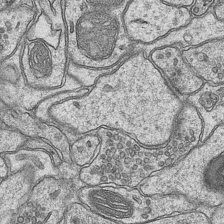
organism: Mouse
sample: CA1 Hippocampus